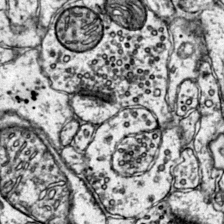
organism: Mouse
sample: Primary visual cortex